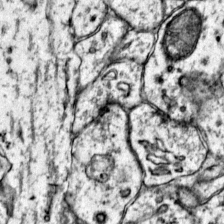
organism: Mouse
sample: Primary visual cortex